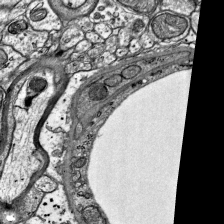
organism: Mouse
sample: Visual Cortex